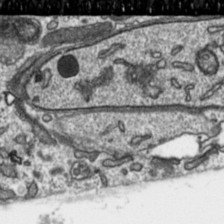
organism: Toxoplasma gondii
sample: Parasites in a vacuole inside a host cell